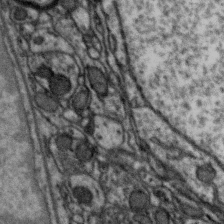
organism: Zebra finch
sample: Brain